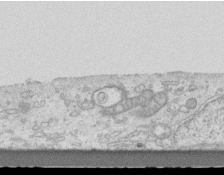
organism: Mouse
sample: Centriole in ependymal cells